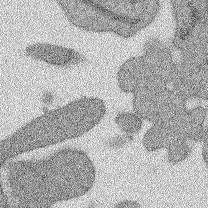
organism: Human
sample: HeLa cells